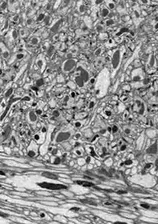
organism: Drosophila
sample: Optic lobe